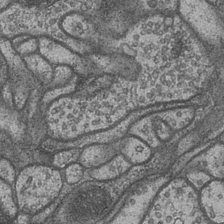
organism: Drosophila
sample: Optic medulla